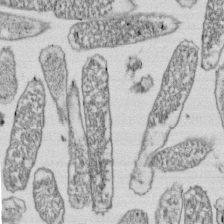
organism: E. coli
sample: Bacterial nucleoid